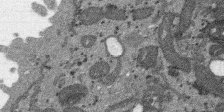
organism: Human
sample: Lung epithelial cells infected with SARS-CoV-2